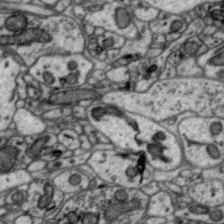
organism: Zebra finch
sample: Brain